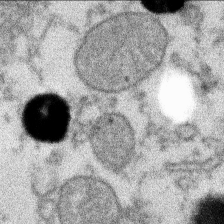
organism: Xenopus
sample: Cilia; centrioles in frog embryo cells